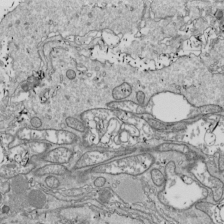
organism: Drosophila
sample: Cell division; meiosis; drosophila spermatocytes